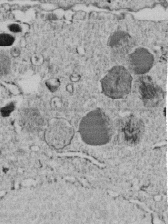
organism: C. elegans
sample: C. elegans embryo early stage